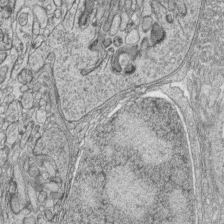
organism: Zebrafish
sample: synaptic ribbons in rod cells and cone cells